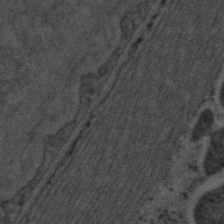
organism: C. elegans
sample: C. elegans embryo